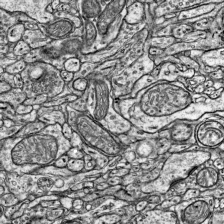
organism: Mouse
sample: Visual Cortex